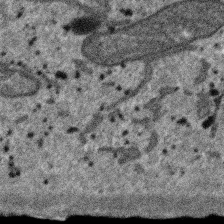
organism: Human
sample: Lung epithelial cells infected with SARS-CoV-2